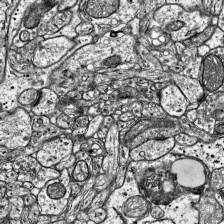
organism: Mouse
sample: Visual Cortex